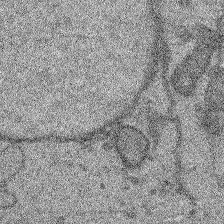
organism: Human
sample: HeLa cells